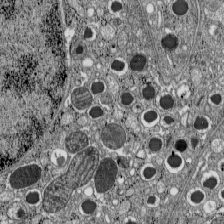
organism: C57BL Mouse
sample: Pancreatic islet